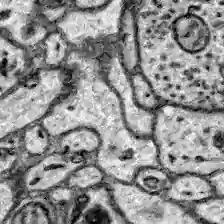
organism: Zebrafish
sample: Brain